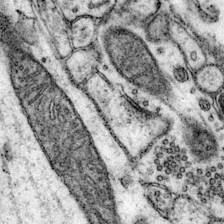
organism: Mouse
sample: Primary visual cortex